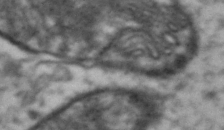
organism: Drosophila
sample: Brain